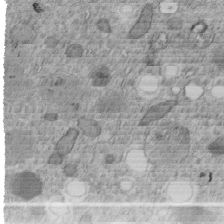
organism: C. elegans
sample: C. elegans embryo early stage